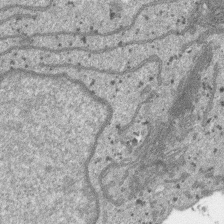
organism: Human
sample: Lung epithelial cells infected with SARS-CoV-2